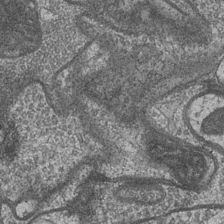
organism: Drosophila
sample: Optic medulla